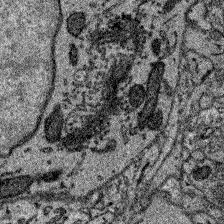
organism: Zebrafish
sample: Larval olfactory bulb